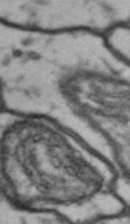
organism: Drosophila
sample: Brain